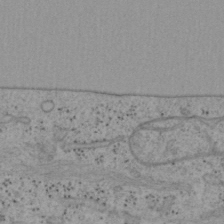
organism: Human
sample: HeLa cells